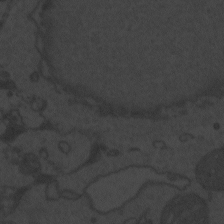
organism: Zebrafish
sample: Macrophage infected with Toxoplasma gondii